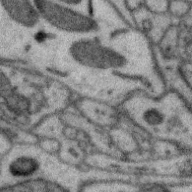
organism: Zebra finch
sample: Brain